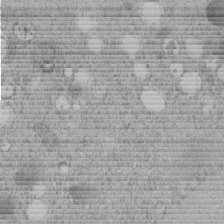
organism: C. elegans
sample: C. elegans embryo early stage